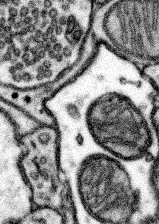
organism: Mouse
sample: Somatosensory cortex neuropil